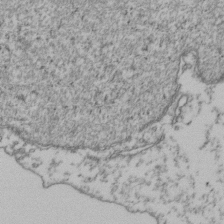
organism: Human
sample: Activated Jurkat CD4+ T cells